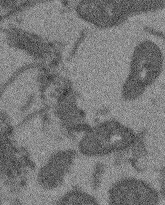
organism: Arabidopsis thaliana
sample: Root tip